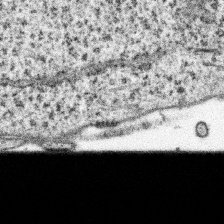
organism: Human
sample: HeLa cells